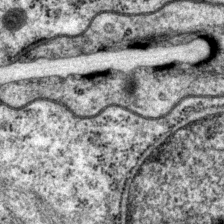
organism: P. pacificus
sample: Pharynx